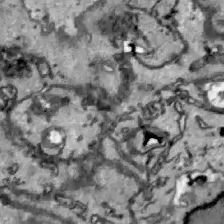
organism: Zebrafish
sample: Actinotrichia fibers